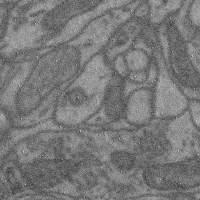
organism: Mouse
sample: Cerebral cortex